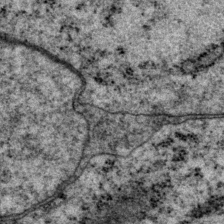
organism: P. pacificus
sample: Pharynx